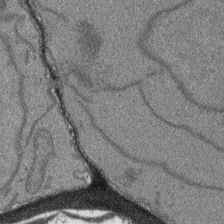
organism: Arabidopsis thaliana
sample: Root tip